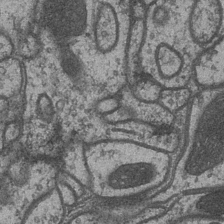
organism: Drosophila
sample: Optic medulla